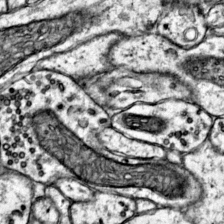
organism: Mouse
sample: Primary visual cortex